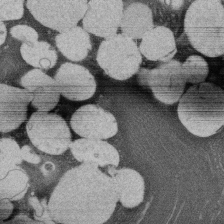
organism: Rat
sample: Salivary granule